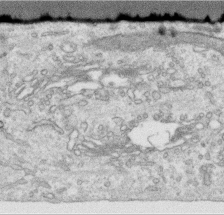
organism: Human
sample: Centriole in RPE cells